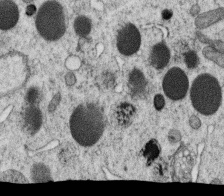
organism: C. elegans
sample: C. elegans oocyte; sperm cells